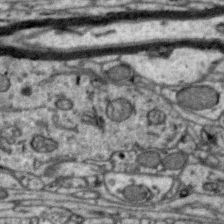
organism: Zebra finch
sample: Brain